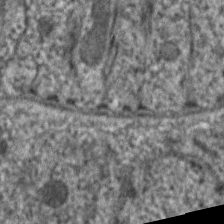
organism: C. elegans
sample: Pharynx